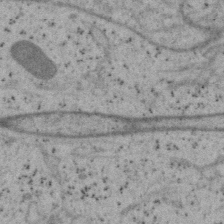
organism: Human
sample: HeLa cells